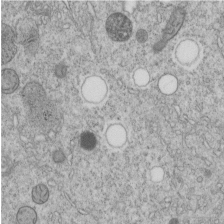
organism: C. elegans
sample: C. elegans embryo early stage